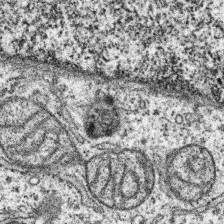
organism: Human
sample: HeLa cells